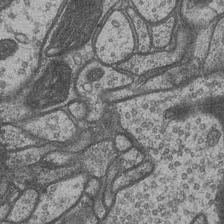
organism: Drosophila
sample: Optic medulla